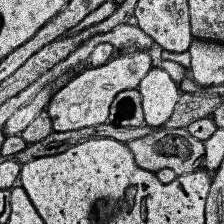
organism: Human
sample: Temporal Lobe